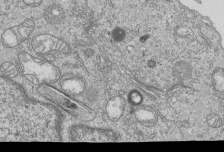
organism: Human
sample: MDA-MB-231 cells